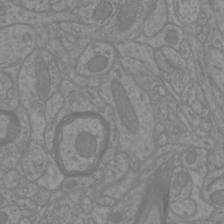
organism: Mouse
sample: Cortical neurons